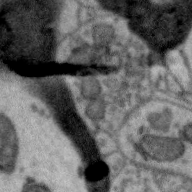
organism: Zebra finch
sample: Brain